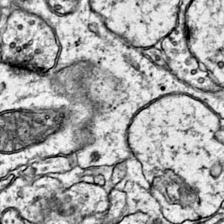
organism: Mouse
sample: Primary visual cortex